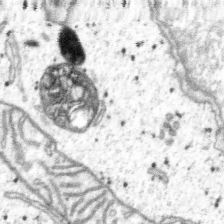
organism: Human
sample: HeLa cells